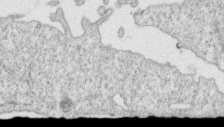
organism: Human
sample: HeLa cell HIV synapse